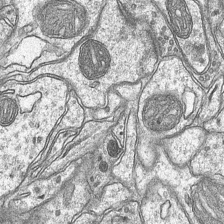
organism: Mouse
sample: CA1 Hippocampus